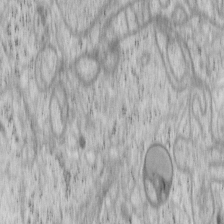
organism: Human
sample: HeLa cells